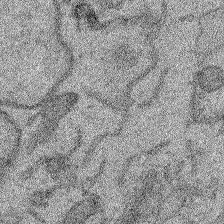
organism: Human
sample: HeLa cells